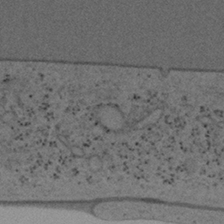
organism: Human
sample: HeLa cells